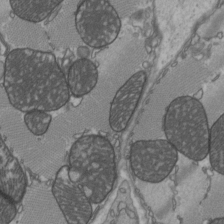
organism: C57BL Mouse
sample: Heart